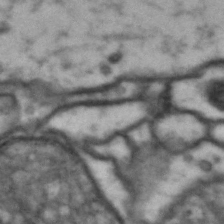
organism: Drosophila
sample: Brain